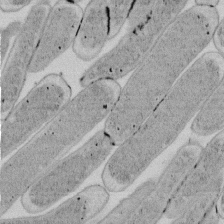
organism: E. coli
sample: Bacterial nucleoid